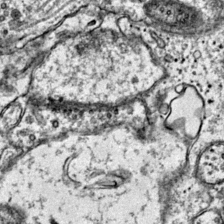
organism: Mouse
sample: Primary visual cortex